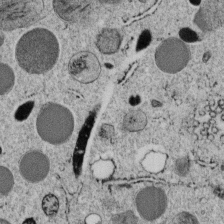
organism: C. elegans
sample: C. elegans embryo early stage